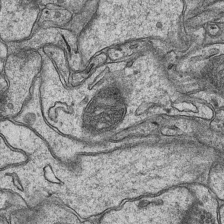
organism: Mouse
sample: CA1 Hippocampus